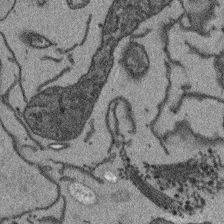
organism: Arabidopsis thaliana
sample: Root tip